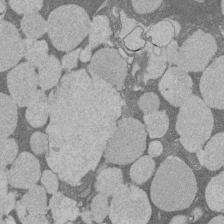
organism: Rat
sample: Salivary granule